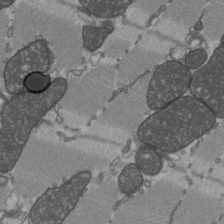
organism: C57BL Mouse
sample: Heart